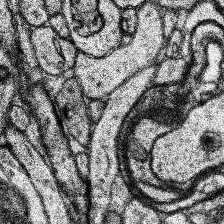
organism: Human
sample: Temporal Lobe